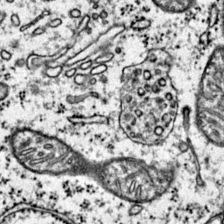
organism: Mouse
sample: Primary visual cortex